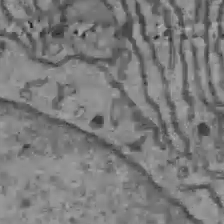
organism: C57BL Mouse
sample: Liver